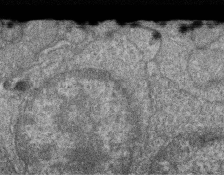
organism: Zebrafish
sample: Cilia; retinal pigment epithelium